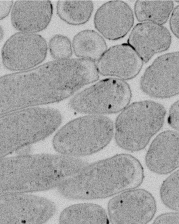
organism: E. coli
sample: Bacterial nucleoid